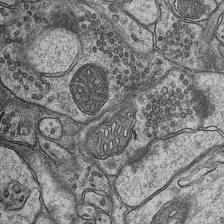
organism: Mouse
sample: CA1 Hippocampus